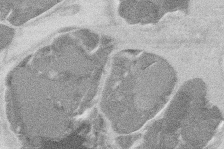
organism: Mouse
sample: T cell stromal cell synapse